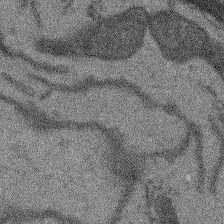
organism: Arabidopsis thaliana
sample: Root tip